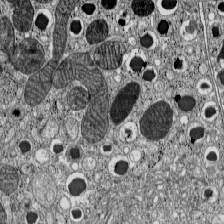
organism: C57BL Mouse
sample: Pancreatic islet